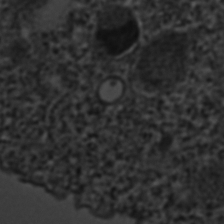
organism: C. elegans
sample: C. elegans embryo